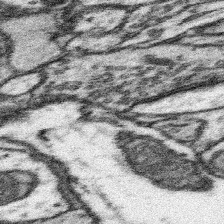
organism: Mouse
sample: Somatosensory cortex neuropil